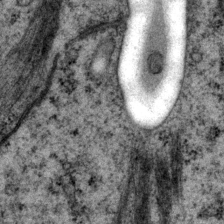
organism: P. pacificus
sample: Pharynx